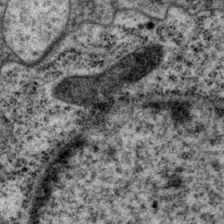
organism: P. pacificus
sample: Pharynx